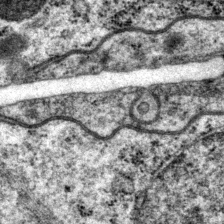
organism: P. pacificus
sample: Pharynx